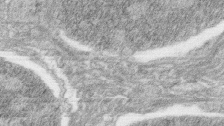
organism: Zebrafish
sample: synaptic ribbons in rod cells and cone cells